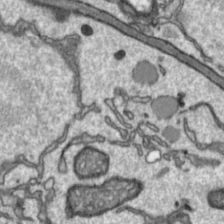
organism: Toxoplasma gondii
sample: Parasites in a vacuole inside a host cell